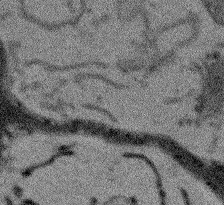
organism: Arabidopsis thaliana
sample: Root tip